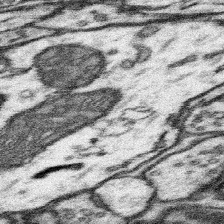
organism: Mouse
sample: Somatosensory cortex neuropil